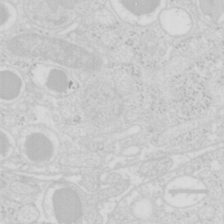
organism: Mouse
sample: Pancreas